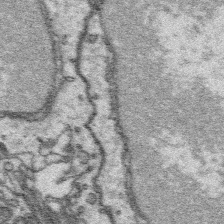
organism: Platynereis dumerilii